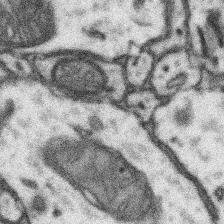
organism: Mouse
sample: Somatosensory cortex neuropil